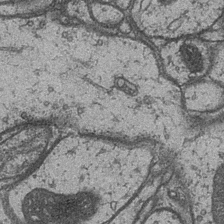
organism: Drosophila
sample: Optic medulla